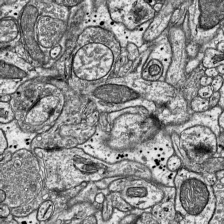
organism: Mouse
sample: Visual Cortex